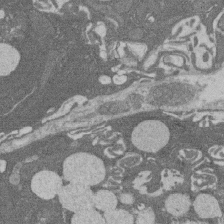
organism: Rat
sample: Salivary granule